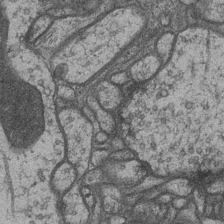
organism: Drosophila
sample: Optic medulla